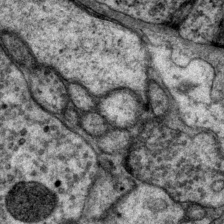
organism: P. pacificus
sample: Pharynx